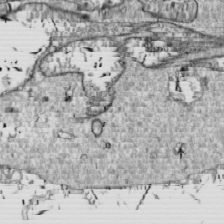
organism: Drosophila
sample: Cell division; meiosis; drosophila spermatocytes